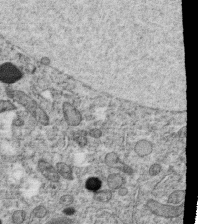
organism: C. elegans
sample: C. elegans oocyte; sperm cells